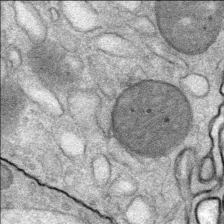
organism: Mouse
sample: Mouse Salivary gland